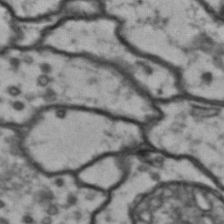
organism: Drosophila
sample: Brain